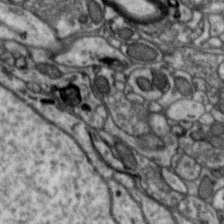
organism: Zebra finch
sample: Brain